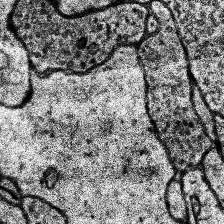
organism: Human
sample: Temporal Lobe